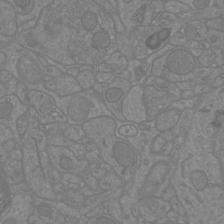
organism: Mouse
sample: Cortical neurons